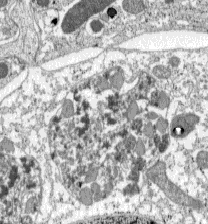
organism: C57BL Mouse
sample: Pancreatic islet